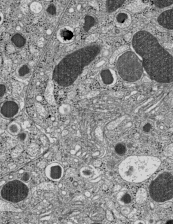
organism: C57BL Mouse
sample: Pancreatic islet